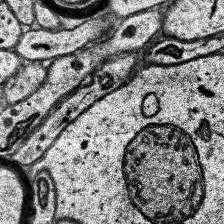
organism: Human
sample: Temporal Lobe